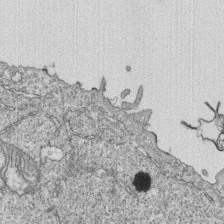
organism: Human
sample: HeLa cell HIV synapse